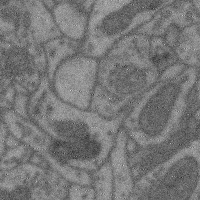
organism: Mouse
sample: Cerebral cortex